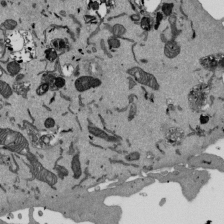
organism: Mouse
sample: ED-1 cell nuclei; centrioles